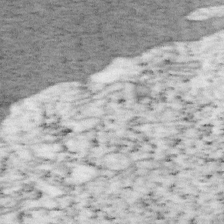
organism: Mouse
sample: OT-I killer T cells with ID8 ovarian cancer cells